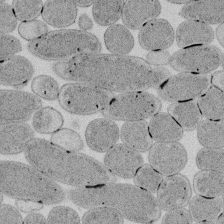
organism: E. coli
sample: Bacterial nucleoid